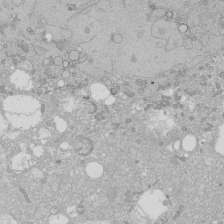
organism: Human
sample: Caco-2 cells